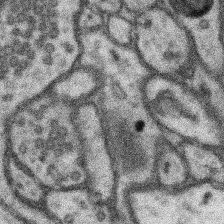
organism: Mouse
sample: Somatosensory cortex neuropil